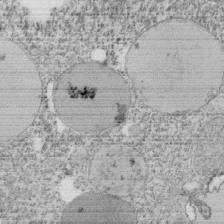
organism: Tetrahymena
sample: Cilia in tetrahymena